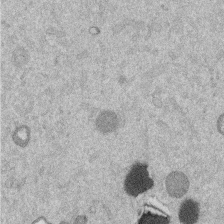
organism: Mouse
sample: Dividing mouse embryo 1 cell stage